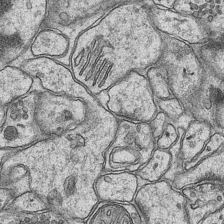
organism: Mouse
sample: CA1 Hippocampus